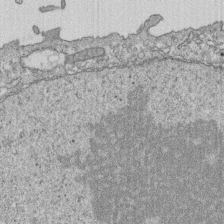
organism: Human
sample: HeLa cell HIV synapse